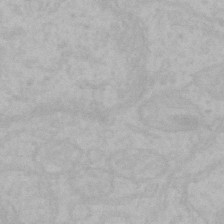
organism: Mouse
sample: Choroid plexus